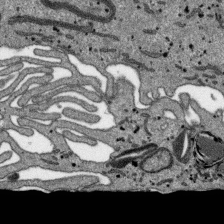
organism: Human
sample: Lung epithelial cells, uninfected (mock) control